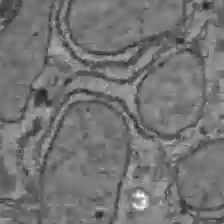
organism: C57BL Mouse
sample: Liver